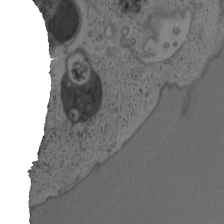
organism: Mouse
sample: OT-I killer T cells with ID8 ovarian cancer cells